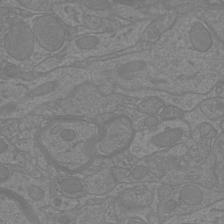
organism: Mouse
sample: Cortical neurons